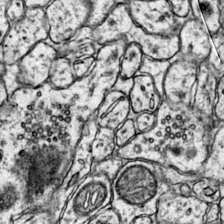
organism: Mouse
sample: Primary visual cortex